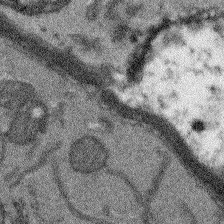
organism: Arabidopsis thaliana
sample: Root tip